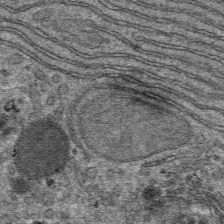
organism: Mouse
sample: Mouse hepatocytes